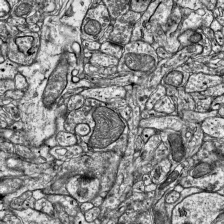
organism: Mouse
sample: Visual Cortex